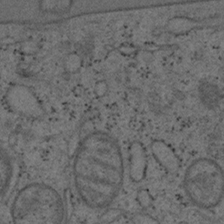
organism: Human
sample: HeLa cells